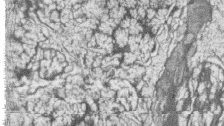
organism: Zebrafish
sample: synaptic ribbons in rod cells and cone cells